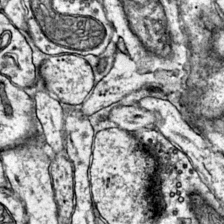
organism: Mouse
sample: Primary visual cortex